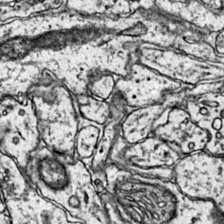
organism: Mouse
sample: Primary visual cortex